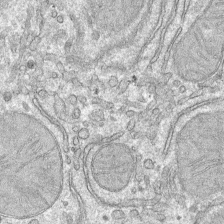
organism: Mouse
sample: Mouse hepatocytes